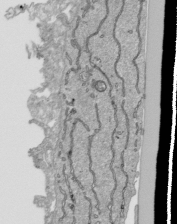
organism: Human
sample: Mitochondria in HCT116 cells